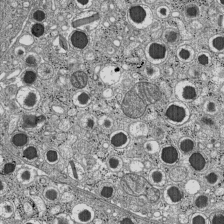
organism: C57BL Mouse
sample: Pancreatic islet